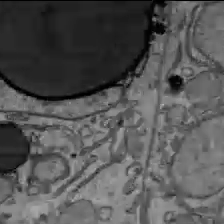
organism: C57BL Mouse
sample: Liver